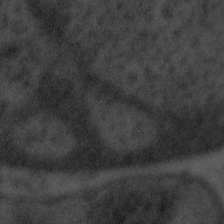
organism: Tuwongella immobilis